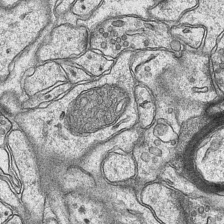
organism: Mouse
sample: CA1 Hippocampus